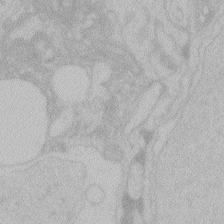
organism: Zebrafish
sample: Macrophage infected with Toxoplasma gondii